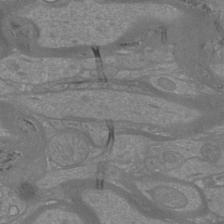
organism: Mouse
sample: Cortical neurons